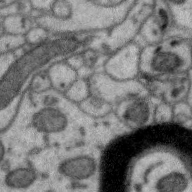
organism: Zebra finch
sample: Brain